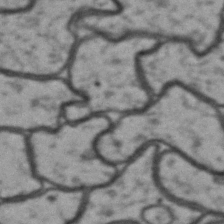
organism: Drosophila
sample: Brain